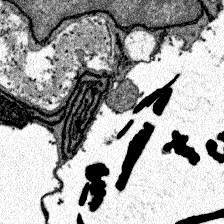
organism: Zebrafish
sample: Larval olfactory bulb